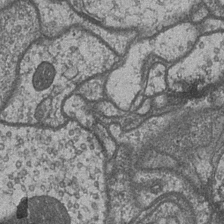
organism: Drosophila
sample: Optic medulla